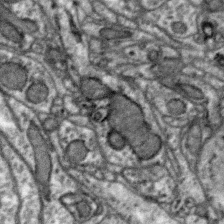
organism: Zebra finch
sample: Brain